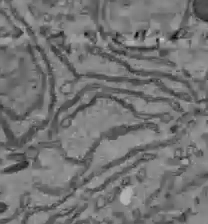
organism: C57BL Mouse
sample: Liver